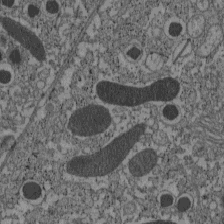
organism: C57BL Mouse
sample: Pancreatic islet